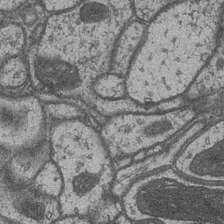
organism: Drosophila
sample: Optic medulla